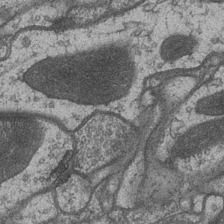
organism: Drosophila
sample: Optic medulla